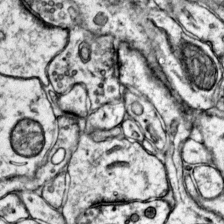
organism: Mouse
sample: Primary visual cortex